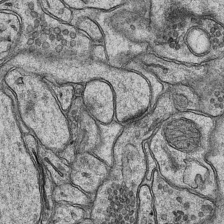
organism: Mouse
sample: CA1 Hippocampus